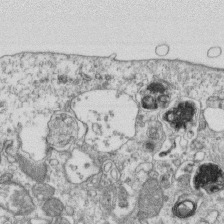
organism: Mouse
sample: Activated OT-1 CD8+ T cells